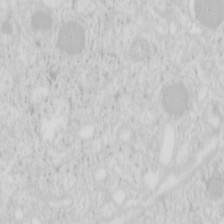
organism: Mouse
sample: Pancreas